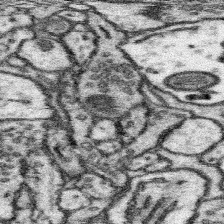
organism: Mouse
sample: Somatosensory cortex neuropil